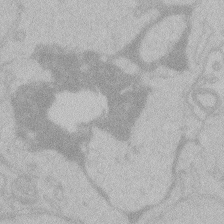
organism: Zebrafish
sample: Macrophage infected with Toxoplasma gondii